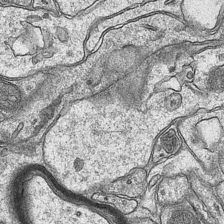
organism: Mouse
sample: CA1 Hippocampus